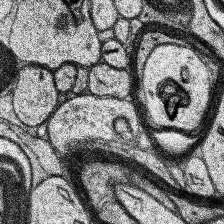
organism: Human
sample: Temporal Lobe